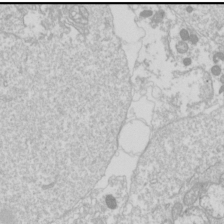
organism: Drosophila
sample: Cell division; meiosis; drosophila spermatocytes